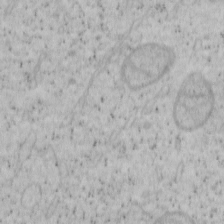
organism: Human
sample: HeLa cells